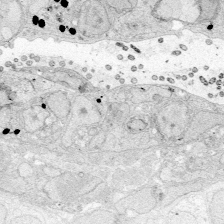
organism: Zebrafish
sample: Whole-Brain